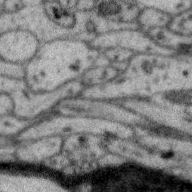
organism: Zebra finch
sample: Brain